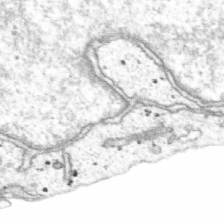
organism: Human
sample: HeLa cells